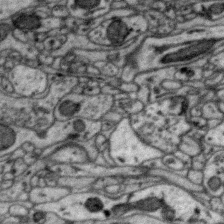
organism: Zebra finch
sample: Brain